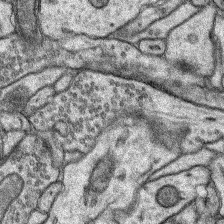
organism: Rat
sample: Hippocampus